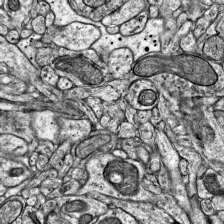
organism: Mouse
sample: Visual Cortex